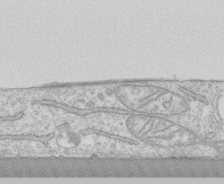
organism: Human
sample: CRL-1474